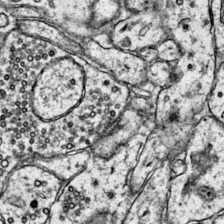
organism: Mouse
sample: Primary visual cortex